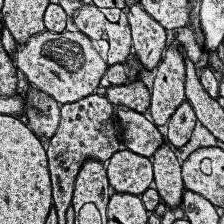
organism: Human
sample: Temporal Lobe